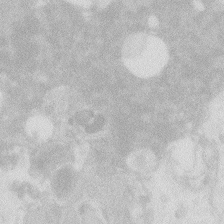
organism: Zebrafish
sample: Macrophage